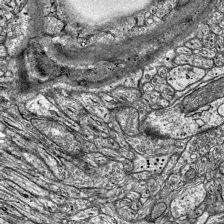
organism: Mouse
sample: Visual Cortex